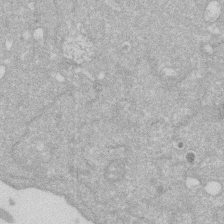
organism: Human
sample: HIV infected U937 cells